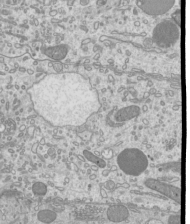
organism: Mouse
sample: Cilia; mouse epididymis